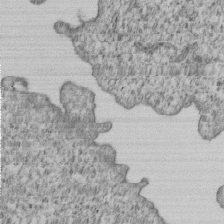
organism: Human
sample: MDA-MB-231 cells